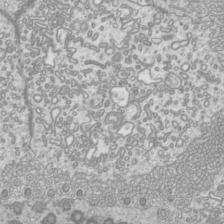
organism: Mouse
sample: Cilia; mouse epididymis